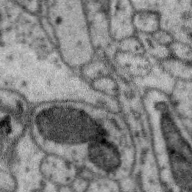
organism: Zebra finch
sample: Brain